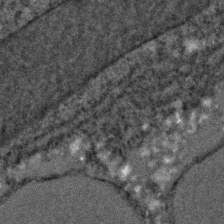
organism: C. elegans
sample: C. elegans embryo